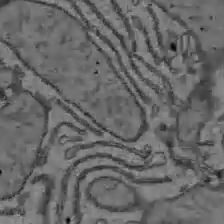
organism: C57BL Mouse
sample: Liver